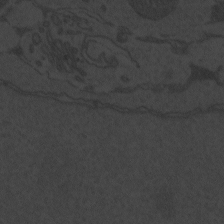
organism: Zebrafish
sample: Macrophage infected with Toxoplasma gondii